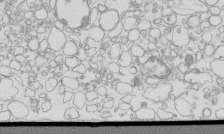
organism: Mouse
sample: Macrophages